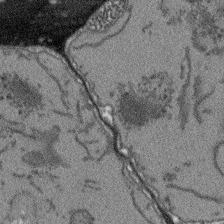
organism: Arabidopsis thaliana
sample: Root tip